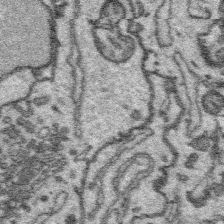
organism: Platynereis dumerilii